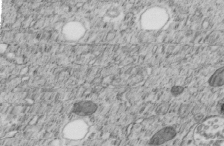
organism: C. elegans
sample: C. elegans embryo early stage